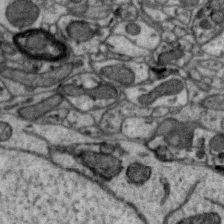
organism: Zebra finch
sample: Brain